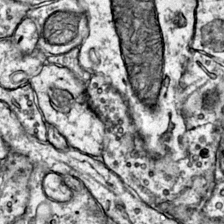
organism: Mouse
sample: Primary visual cortex